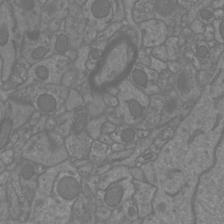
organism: Mouse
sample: Cortical neurons